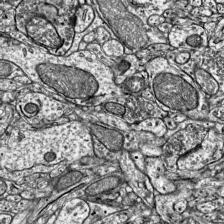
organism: Mouse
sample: Visual Cortex